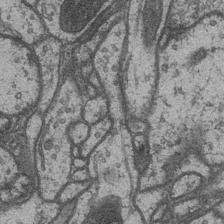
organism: Drosophila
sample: Optic medulla